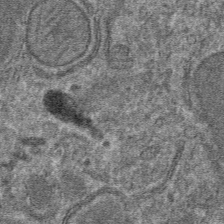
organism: Mouse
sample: Mouse hepatocytes